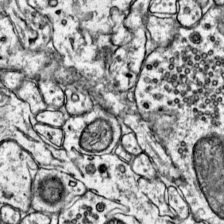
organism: Mouse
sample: Primary visual cortex